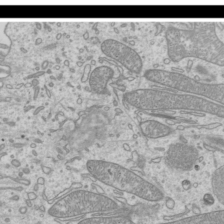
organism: Mouse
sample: Cilia; mouse epididymis